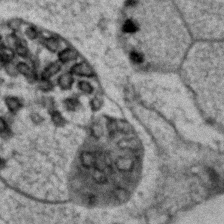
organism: Human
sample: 1205lu cells